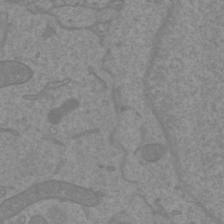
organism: Mouse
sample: Cortical neurons